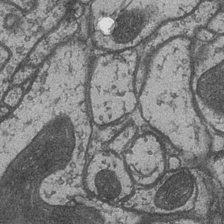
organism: Drosophila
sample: Optic medulla